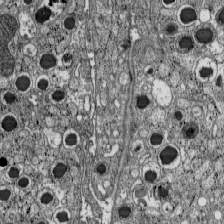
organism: C57BL Mouse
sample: Pancreatic islet